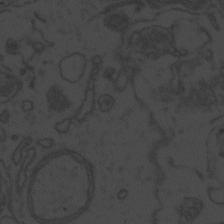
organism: Zebrafish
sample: Macrophage infected with Toxoplasma gondii